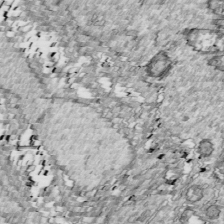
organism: Drosophila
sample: Cell division; meiosis; drosophila spermatocytes